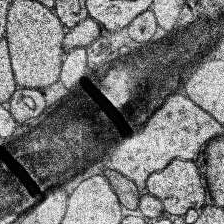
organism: Human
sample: Temporal Lobe